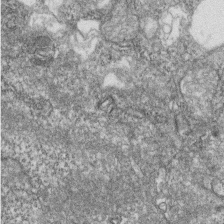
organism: Zebrafish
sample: Cilia; retinal pigment epithelium